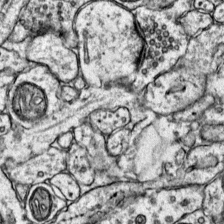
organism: Mouse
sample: Primary visual cortex